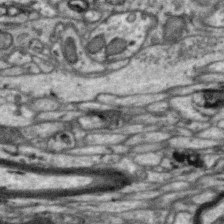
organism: Zebra finch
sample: Brain